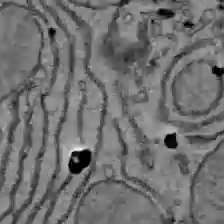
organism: C57BL Mouse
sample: Liver